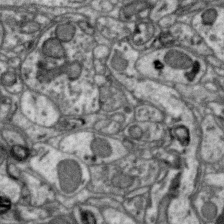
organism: Zebra finch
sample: Brain